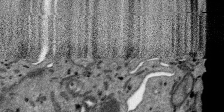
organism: Human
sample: Lung epithelial cells, uninfected (mock) control